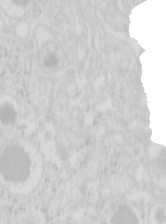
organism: Mouse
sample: Pancreas